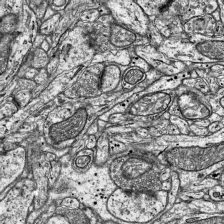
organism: Mouse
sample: Visual Cortex